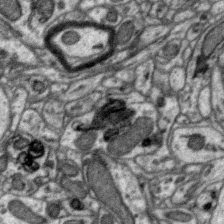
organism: Zebra finch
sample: Brain